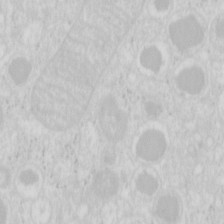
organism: Mouse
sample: Pancreas